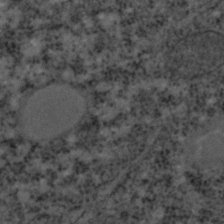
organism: C. elegans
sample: C. elegans embryo